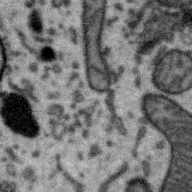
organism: Zebra finch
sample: Brain